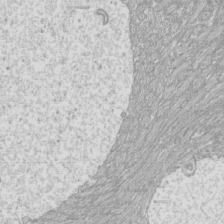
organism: Mouse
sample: Cilia; mouse epididymis